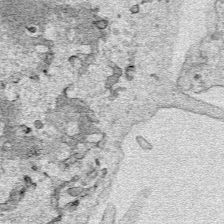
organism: Human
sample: Mitochondria in HCT116 cells